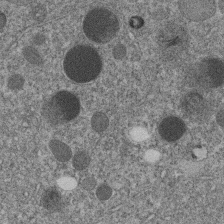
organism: C. elegans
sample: C. elegans embryo early stage